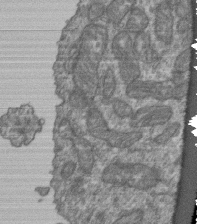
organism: Human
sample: Retinal organoid Rod and Cone cells